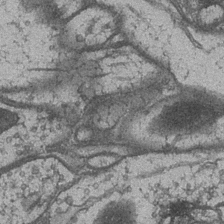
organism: Drosophila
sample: Optic medulla